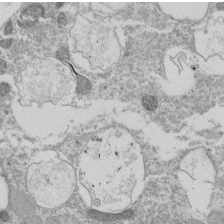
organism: Tetrahymena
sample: Cilia in tetrahymena